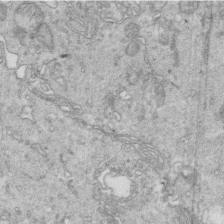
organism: Mouse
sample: Multiciliated cells